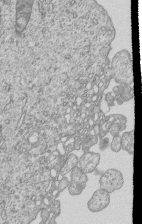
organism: Human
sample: MDA-MB-231 cells